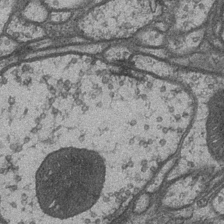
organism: Drosophila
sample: Optic medulla